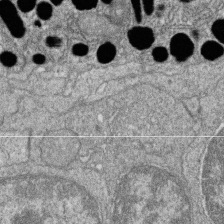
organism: Zebrafish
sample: Cilia; retinal pigment epithelium